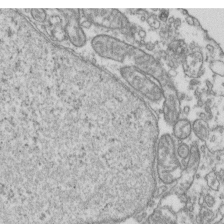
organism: Human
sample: Activated Jurkat CD4+ T cells